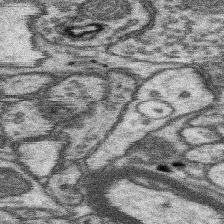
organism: Mouse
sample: Somatosensory cortex neuropil